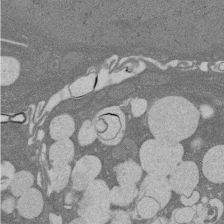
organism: Rat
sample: Salivary granule